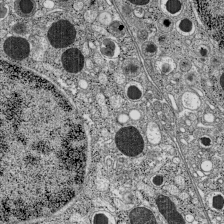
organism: C57BL Mouse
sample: Pancreatic islet